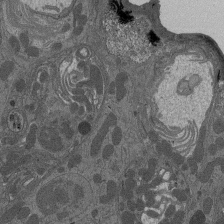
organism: Drosophila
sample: Antenna